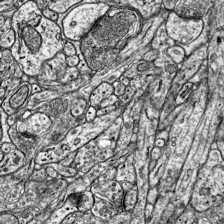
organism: Mouse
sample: Visual Cortex